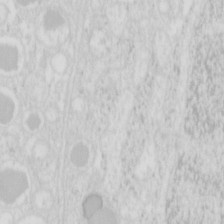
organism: Mouse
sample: Pancreas